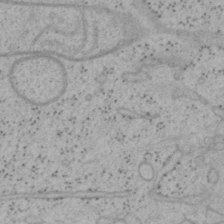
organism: Human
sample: HeLa cells